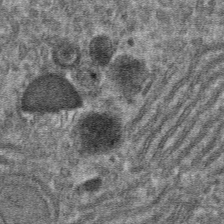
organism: Mouse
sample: Mouse hepatocytes